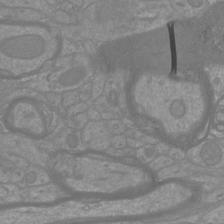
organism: Mouse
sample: Cortical neurons